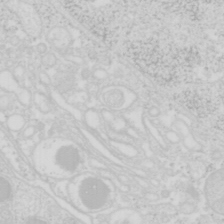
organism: Mouse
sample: Pancreas